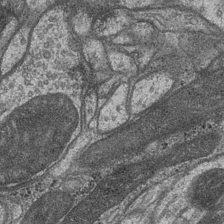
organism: Drosophila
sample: Optic medulla